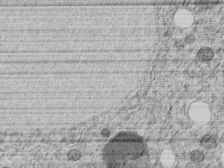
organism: C. elegans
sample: C. elegans embryo early stage